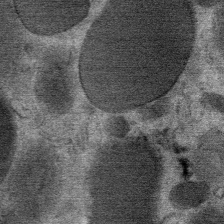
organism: Mouse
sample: Mouse Salivary gland